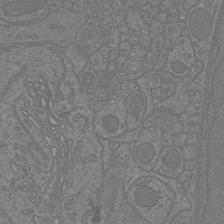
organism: Mouse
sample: Cortical neurons